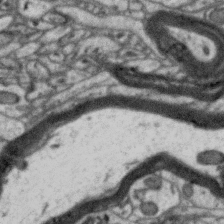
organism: Zebra finch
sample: Brain